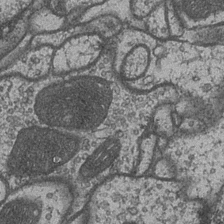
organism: Drosophila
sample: Optic medulla